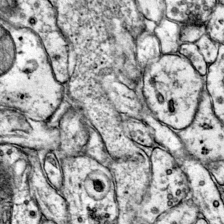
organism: Mouse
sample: Primary visual cortex